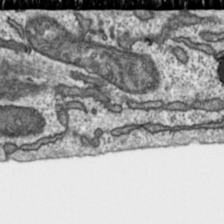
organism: Toxoplasma gondii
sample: Parasites in a vacuole inside a host cell